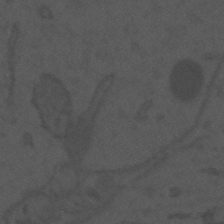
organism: Mouse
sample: Suprachiasmatic nucleus